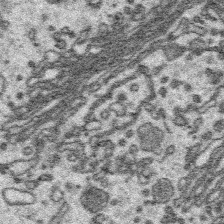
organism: Platynereis dumerilii